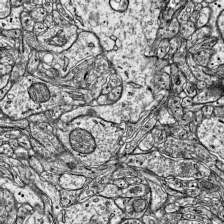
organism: Mouse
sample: Visual Cortex